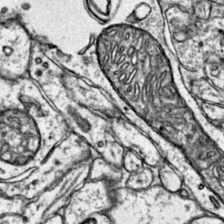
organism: Mouse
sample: Primary visual cortex